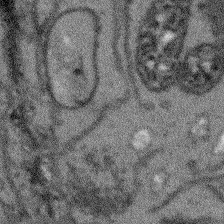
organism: Arabidopsis thaliana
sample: Root tip